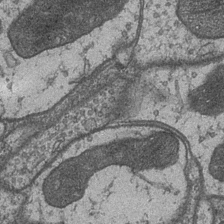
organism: Drosophila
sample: Optic medulla